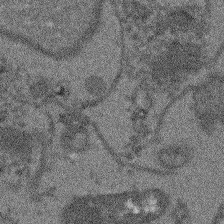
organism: Arabidopsis thaliana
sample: Root tip